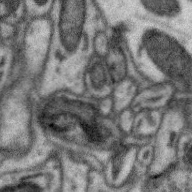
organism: Zebra finch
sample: Brain